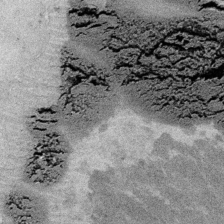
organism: Embia sp.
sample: Silk gland